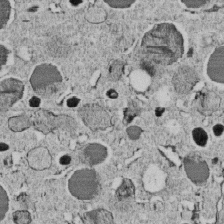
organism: C. elegans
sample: C. elegans embryo early stage